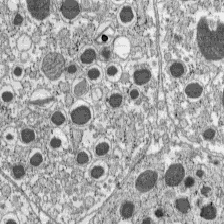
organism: C57BL Mouse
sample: Pancreatic islet